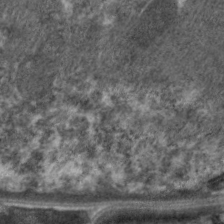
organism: C. elegans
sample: Pharynx